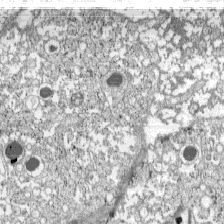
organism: C57BL Mouse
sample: Pancreatic islet